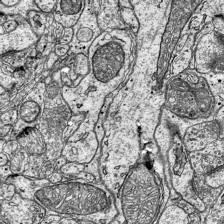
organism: Mouse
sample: Visual Cortex